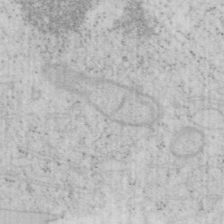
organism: Human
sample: HeLa cells